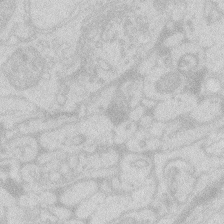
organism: Zebrafish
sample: Macrophage